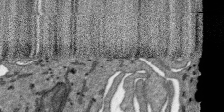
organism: Human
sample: Lung epithelial cells, uninfected (mock) control